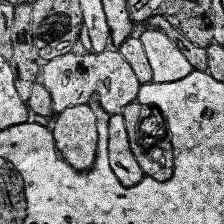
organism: Human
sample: Temporal Lobe